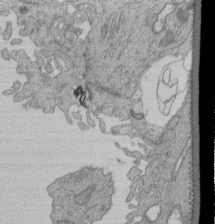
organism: Human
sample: Retinal organoid Rod and Cone cells